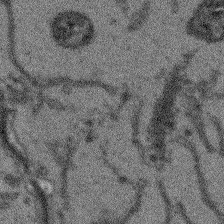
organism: Arabidopsis thaliana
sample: Root tip